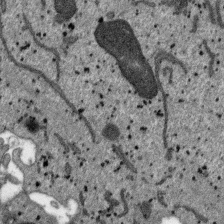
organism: Human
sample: Lung epithelial cells, uninfected (mock) control